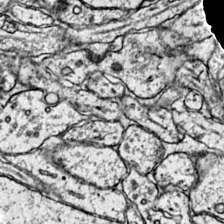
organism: Mouse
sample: Primary visual cortex